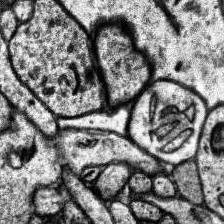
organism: Human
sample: Temporal Lobe